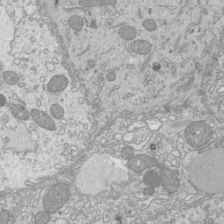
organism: Mouse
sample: Cilia; mouse epididymis